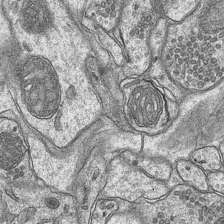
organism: Mouse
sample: CA1 Hippocampus